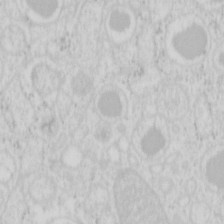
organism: Mouse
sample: Pancreas